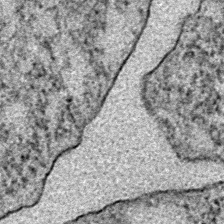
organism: E. coli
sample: E. Coli Bacteria